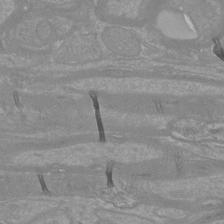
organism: Mouse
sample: Cortical neurons